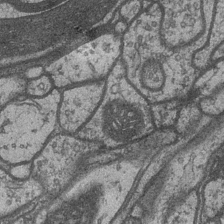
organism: Drosophila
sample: Optic medulla